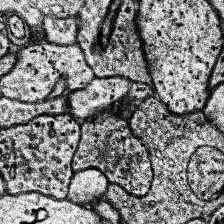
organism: Human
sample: Temporal Lobe